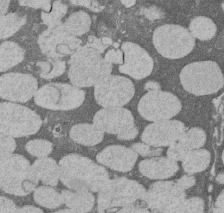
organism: Rat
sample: Salivary granule